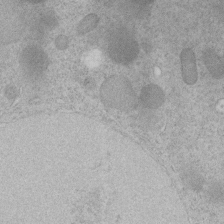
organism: C. elegans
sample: C. elegans embryo early stage